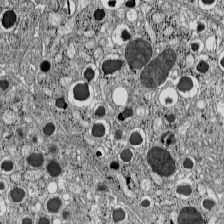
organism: C57BL Mouse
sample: Pancreatic islet